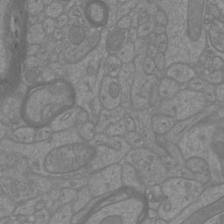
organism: Mouse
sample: Cortical neurons